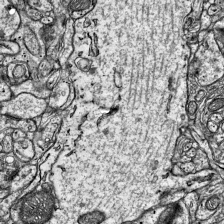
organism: Mouse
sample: Visual Cortex